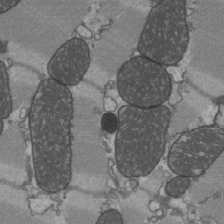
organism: C57BL Mouse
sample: Heart